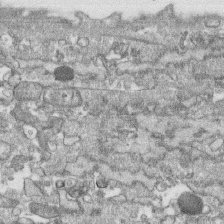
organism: Human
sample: CRL-1474